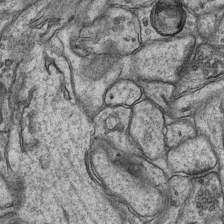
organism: Mouse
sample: CA1 Hippocampus